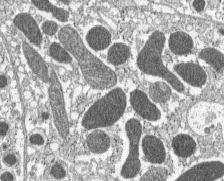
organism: C57BL Mouse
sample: Pancreatic islet